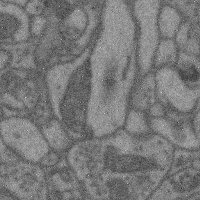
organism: Mouse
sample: Cerebral cortex